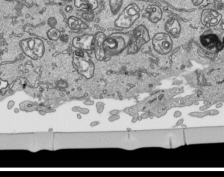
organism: Human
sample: Mitochondria in HCT116 cells